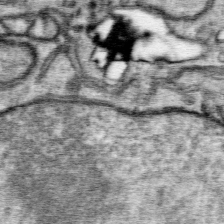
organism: Human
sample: HeLa cells